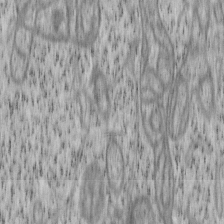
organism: Human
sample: HeLa cells